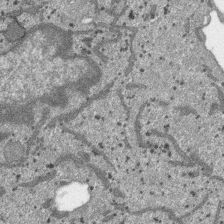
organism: Human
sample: Lung epithelial cells infected with SARS-CoV-2